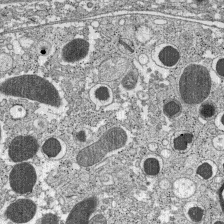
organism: C57BL Mouse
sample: Pancreatic islet